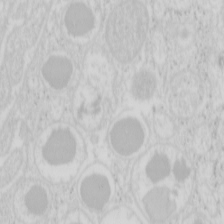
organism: Mouse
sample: Pancreas